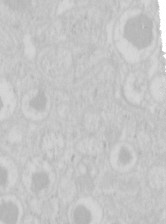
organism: Mouse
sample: Pancreas